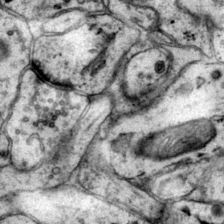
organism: Mouse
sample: Primary visual cortex